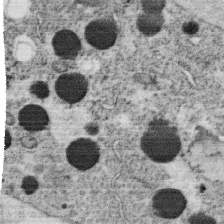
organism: C. elegans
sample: C. elegans oocyte; sperm cells